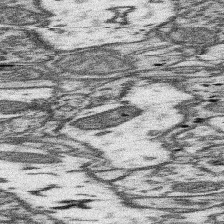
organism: Mouse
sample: Somatosensory cortex neuropil